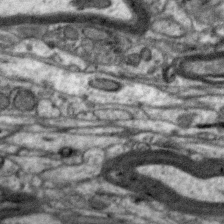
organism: Zebra finch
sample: Brain